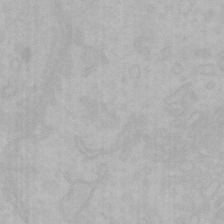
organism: Mouse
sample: Choroid plexus